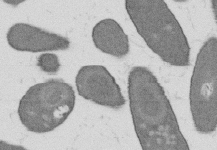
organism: B. subtilis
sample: Bacterial spore